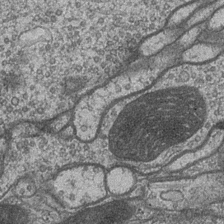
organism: Drosophila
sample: Optic medulla